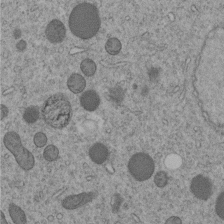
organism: C. elegans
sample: C. elegans embryo early stage